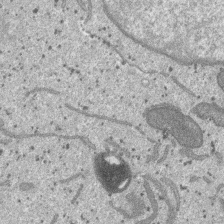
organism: Human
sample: Lung epithelial cells infected with SARS-CoV-2